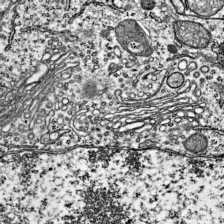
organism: Mouse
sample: Visual Cortex